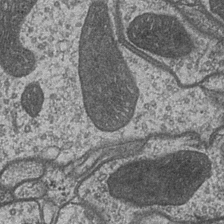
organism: Drosophila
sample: Optic medulla